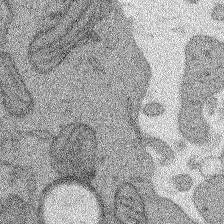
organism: Human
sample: HeLa cells